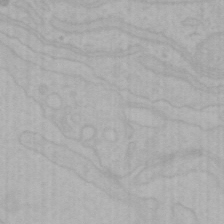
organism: Mouse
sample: Choroid plexus